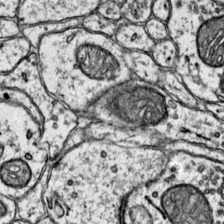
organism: Mouse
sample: Primary visual cortex